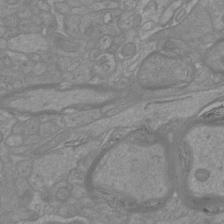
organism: Mouse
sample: Cortical neurons